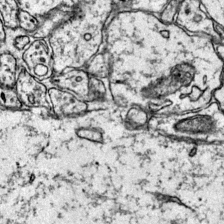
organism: Mouse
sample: Primary visual cortex